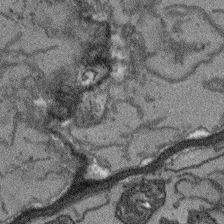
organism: Arabidopsis thaliana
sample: Root tip